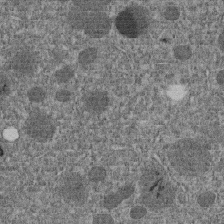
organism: C. elegans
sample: C. elegans embryo early stage